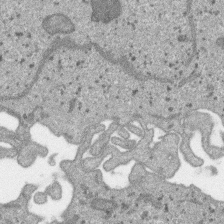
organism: Human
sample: Lung epithelial cells infected with SARS-CoV-2